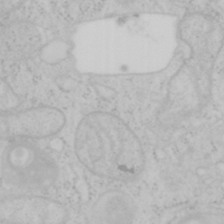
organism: Mouse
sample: OT-I killer T cells with ID8 ovarian cancer cells